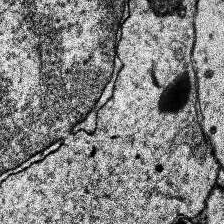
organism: Human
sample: Temporal Lobe